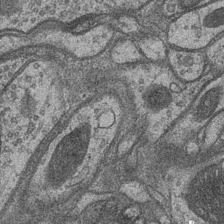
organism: Drosophila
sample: Optic medulla